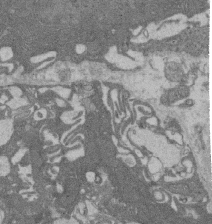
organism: Rat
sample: Salivary granule